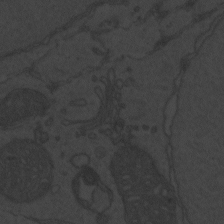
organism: Zebrafish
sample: Macrophage infected with Toxoplasma gondii